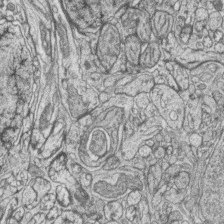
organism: Zebrafish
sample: synaptic ribbons in rod cells and cone cells